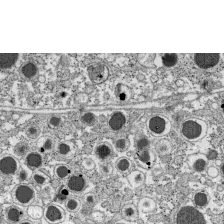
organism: C57BL Mouse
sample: Pancreatic islet